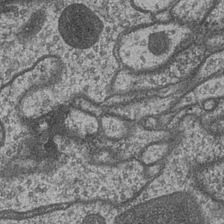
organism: Drosophila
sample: Optic medulla